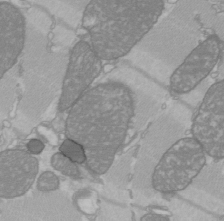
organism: C57BL Mouse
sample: Heart